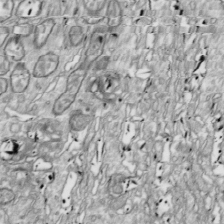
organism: Drosophila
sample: Cell division; meiosis; drosophila spermatocytes